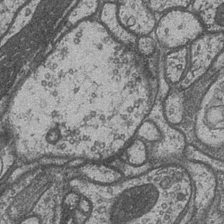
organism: Drosophila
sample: Optic medulla